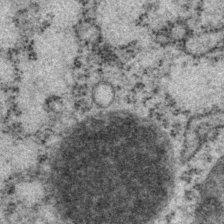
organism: P. pacificus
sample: Pharynx